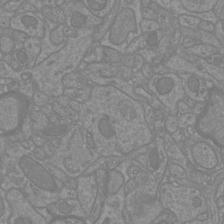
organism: Mouse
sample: Cortical neurons